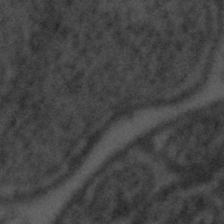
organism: Tuwongella immobilis